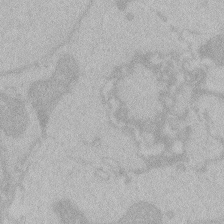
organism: Zebrafish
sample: Macrophage infected with Toxoplasma gondii